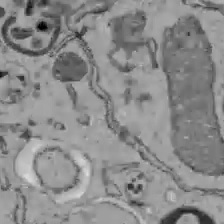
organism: C57BL Mouse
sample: Liver